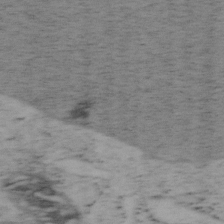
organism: Mouse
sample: OT-I killer T cells with ID8 ovarian cancer cells